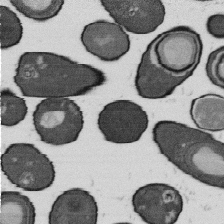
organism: B. subtilis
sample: Bacterial spore